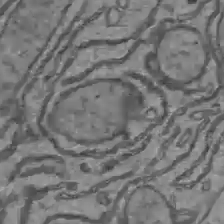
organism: C57BL Mouse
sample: Liver